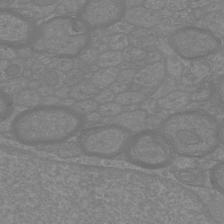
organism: Mouse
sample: Cortical neurons